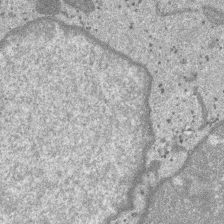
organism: Human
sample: Lung epithelial cells infected with SARS-CoV-2